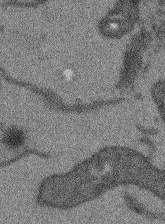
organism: Arabidopsis thaliana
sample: Root tip